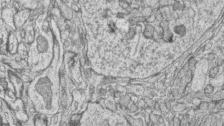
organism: Zebrafish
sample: synaptic ribbons in rod cells and cone cells